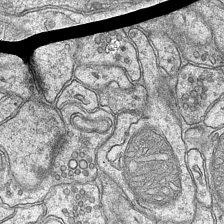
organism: Mouse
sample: CA1 Hippocampus